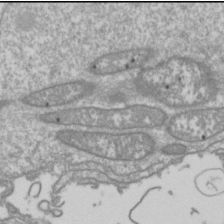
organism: Drosophila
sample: Cell division; meiosis; drosophila spermatocytes